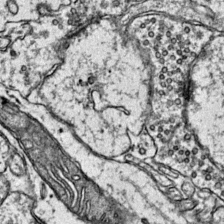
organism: Mouse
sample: Primary visual cortex